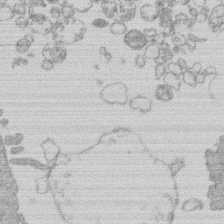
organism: Human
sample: Macrophage cells